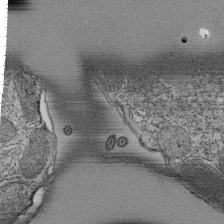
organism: Tetrahymena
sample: Cilia in tetrahymena